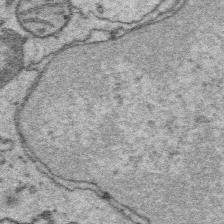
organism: Platynereis dumerilii